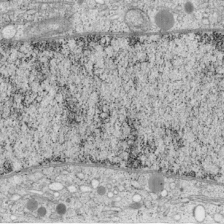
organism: African green monkey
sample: COS-7 cells